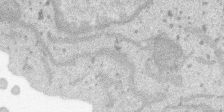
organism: Human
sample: Lung epithelial cells infected with SARS-CoV-2